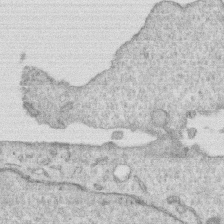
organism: Human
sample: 1205lu cells